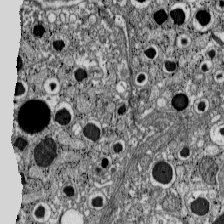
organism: C57BL Mouse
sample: Pancreatic islet